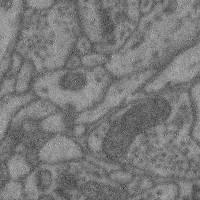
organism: Mouse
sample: Cerebral cortex